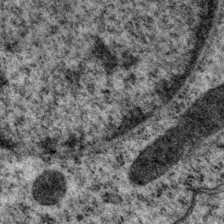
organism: P. pacificus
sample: Pharynx